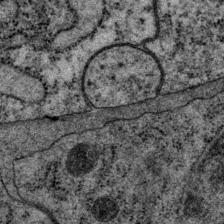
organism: P. pacificus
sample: Pharynx